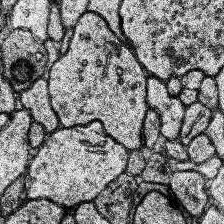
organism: Human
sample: Temporal Lobe